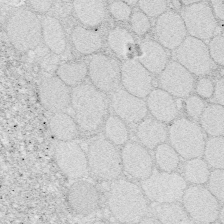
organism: Zebrafish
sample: Whole-Brain